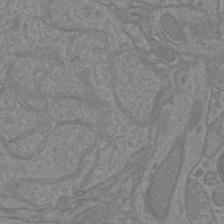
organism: Mouse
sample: Cortical neurons